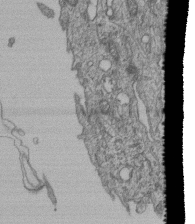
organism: Human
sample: Retinal organoid Rod and Cone cells